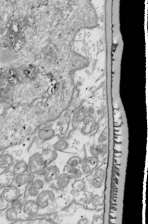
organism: Drosophila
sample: Cell division; meiosis; drosophila spermatocytes